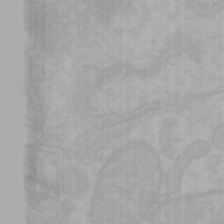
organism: Mouse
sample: Choroid plexus